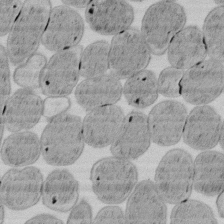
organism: E. coli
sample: Bacterial nucleoid